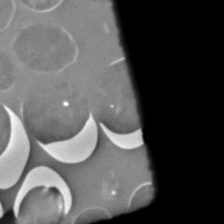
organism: C. elegans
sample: C. elegans embryo